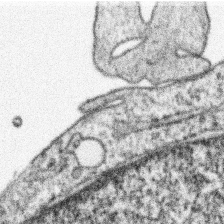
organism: Human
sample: HeLa cells